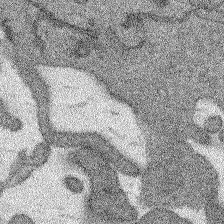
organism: Human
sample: HeLa cells